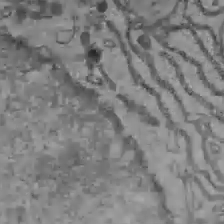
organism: C57BL Mouse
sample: Liver